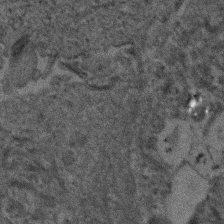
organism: Human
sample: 1205lu cells